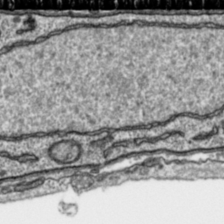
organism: Toxoplasma gondii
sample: Parasites in a vacuole inside a host cell